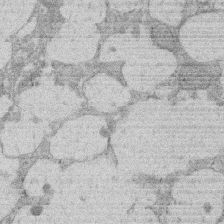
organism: Rat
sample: Salivary granule